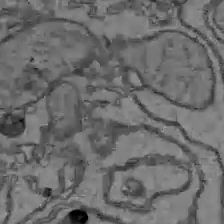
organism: C57BL Mouse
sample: Liver